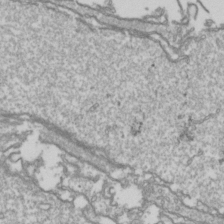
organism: Drosophila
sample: Cell division; meiosis; drosophila spermatocytes